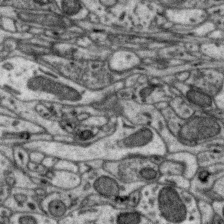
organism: Zebra finch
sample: Brain